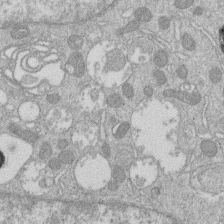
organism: Human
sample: Macrophage cells